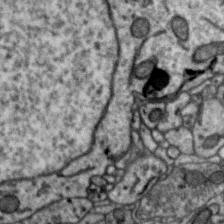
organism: Zebra finch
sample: Brain